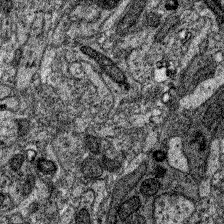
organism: Zebrafish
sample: Larval olfactory bulb